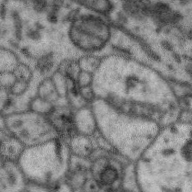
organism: Zebra finch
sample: Brain